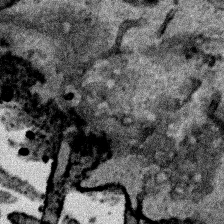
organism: Human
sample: Mitochondria in HCT116 cells